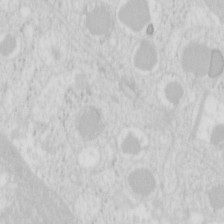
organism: Mouse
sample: Pancreas